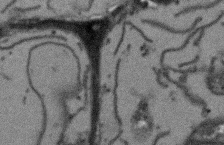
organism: Arabidopsis thaliana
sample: Root tip